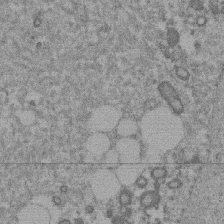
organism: Mouse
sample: Dividing mouse embryo 1 cell stage